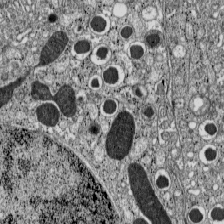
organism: C57BL Mouse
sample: Pancreatic islet